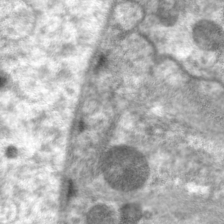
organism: C. elegans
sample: Pharynx